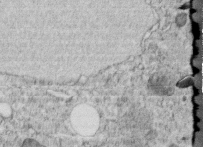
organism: C. elegans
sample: C. elegans embryo early stage